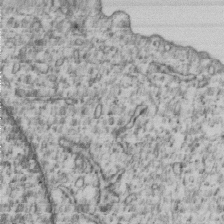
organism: Human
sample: MDA-MB-231 cells